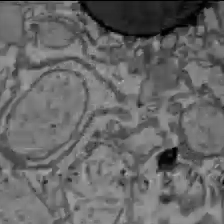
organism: C57BL Mouse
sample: Liver